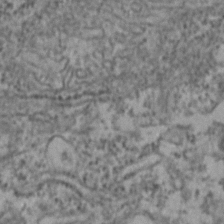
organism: Zebrafish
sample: Zebrafish embryo